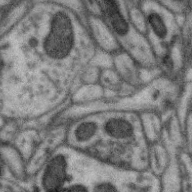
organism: Zebra finch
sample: Brain